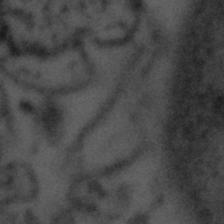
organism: Tuwongella immobilis